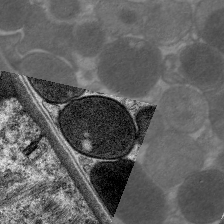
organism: C. elegans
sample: Pharynx